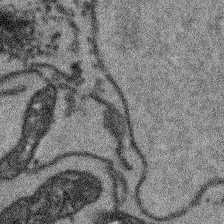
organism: Arabidopsis thaliana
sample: Root tip